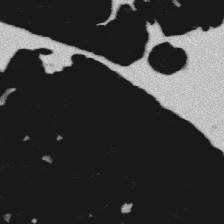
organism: Platynereis dumerilii